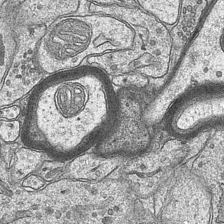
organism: Mouse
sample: CA1 Hippocampus